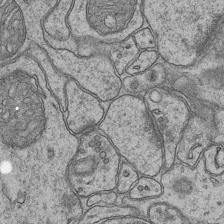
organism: Mouse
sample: CA1 Hippocampus